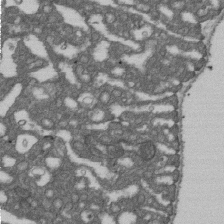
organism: Drosophila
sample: Nephrocyte